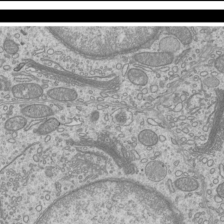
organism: Mouse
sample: Cilia; mouse epididymis